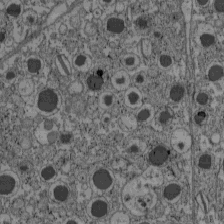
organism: C57BL Mouse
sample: Pancreatic islet